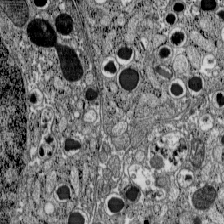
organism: C57BL Mouse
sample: Pancreatic islet